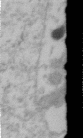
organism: Human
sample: U2-OS cells